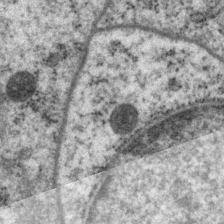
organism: P. pacificus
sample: Pharynx